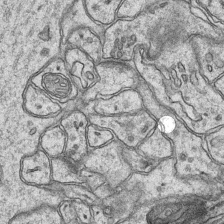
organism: Mouse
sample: CA1 Hippocampus